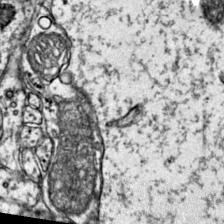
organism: Mouse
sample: Primary visual cortex